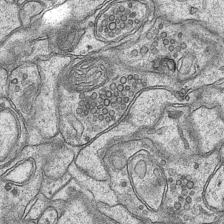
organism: Mouse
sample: CA1 Hippocampus